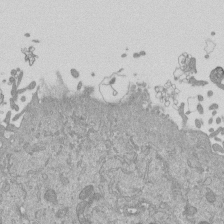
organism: Mouse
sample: ED-1 cell nuclei; centrioles